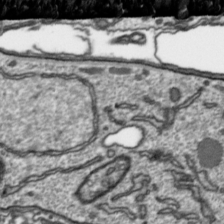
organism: Toxoplasma gondii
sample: Parasites in a vacuole inside a host cell